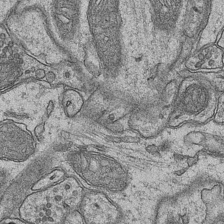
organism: Mouse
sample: CA1 Hippocampus